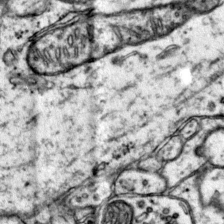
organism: Mouse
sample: Primary visual cortex